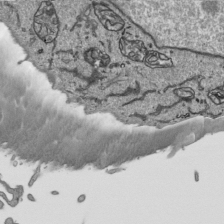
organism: Human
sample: Mitochondria in HCT116 cells